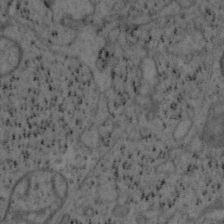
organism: Human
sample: HeLa cells